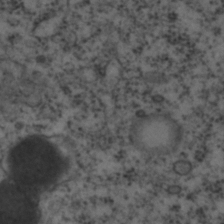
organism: C. elegans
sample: C. elegans embryo